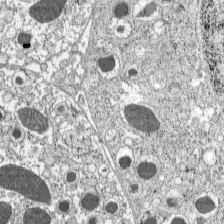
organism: C57BL Mouse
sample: Pancreatic islet